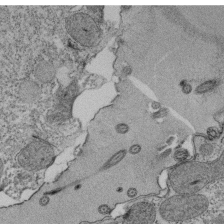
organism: Tetrahymena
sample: Cilia in tetrahymena